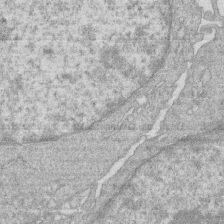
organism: Human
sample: Macrophage cells